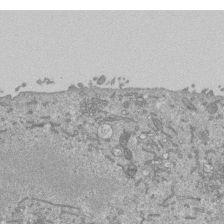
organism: Mouse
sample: ED-1 cell nuclei; centrioles